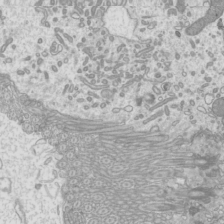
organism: Mouse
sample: Cilia; mouse epididymis